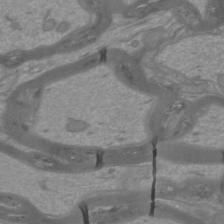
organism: Mouse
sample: Cortical neurons